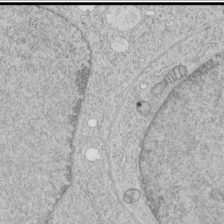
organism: Human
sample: Mitochondria in HCT116 cells